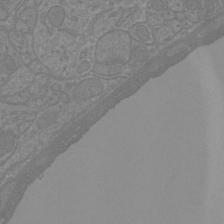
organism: Mouse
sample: Cortical neurons